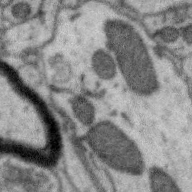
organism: Zebra finch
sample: Brain